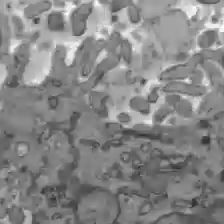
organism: C57BL Mouse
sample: Liver